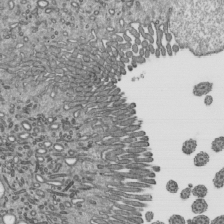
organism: Mouse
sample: Mouse epididymis efferent ductule cilia